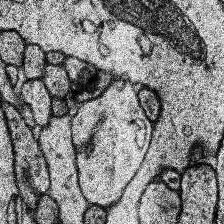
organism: Human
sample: Temporal Lobe